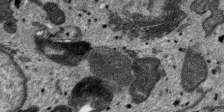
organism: Human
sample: Lung epithelial cells, uninfected (mock) control